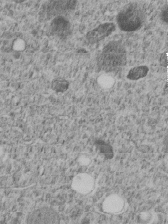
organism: C. elegans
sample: C. elegans embryo early stage